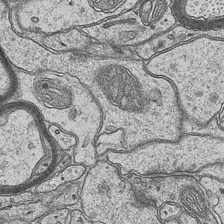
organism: Mouse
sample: CA1 Hippocampus